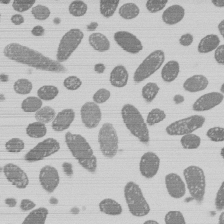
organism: E. coli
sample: Bacterial nucleoid